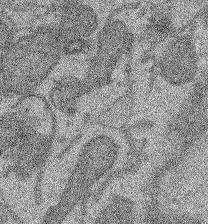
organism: Human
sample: HeLa cells